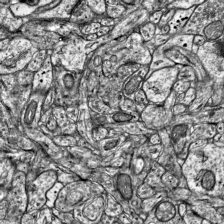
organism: Mouse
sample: Visual Cortex